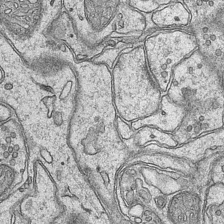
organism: Mouse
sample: CA1 Hippocampus